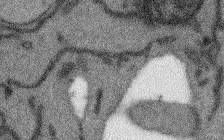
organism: Arabidopsis thaliana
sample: Root tip